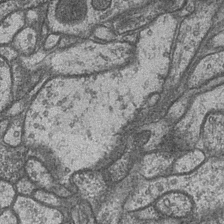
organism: Drosophila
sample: Optic medulla